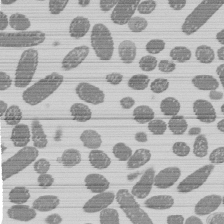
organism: E. coli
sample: Bacterial nucleoid